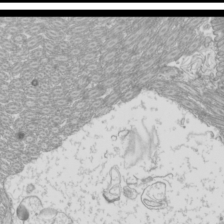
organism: Mouse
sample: Cilia; mouse epididymis